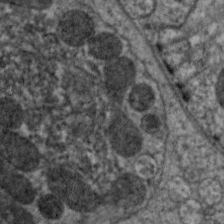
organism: C. elegans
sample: Pharynx